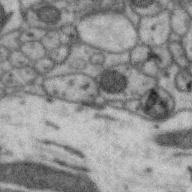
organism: Zebra finch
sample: Brain